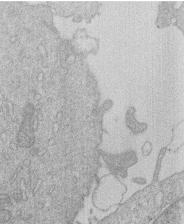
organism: Human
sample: Macrophage cells